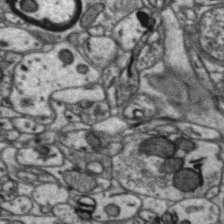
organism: Zebra finch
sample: Brain